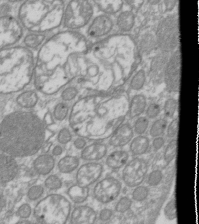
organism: Drosophila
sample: Cell division; meiosis; drosophila spermatocytes